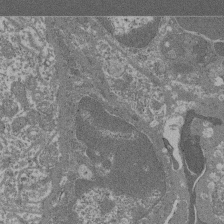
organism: Mouse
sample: Glomerulus